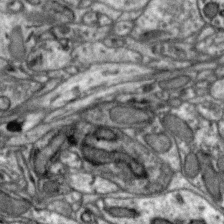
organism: Zebra finch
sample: Brain